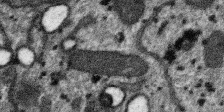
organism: Human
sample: Lung epithelial cells infected with SARS-CoV-2